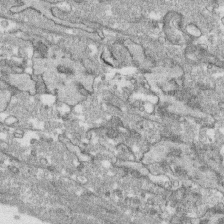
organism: Human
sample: CRL-1474